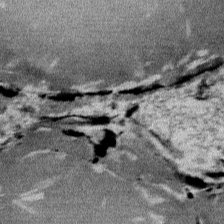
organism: Mouse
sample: Mouse Salivary gland